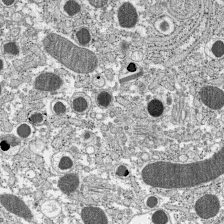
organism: C57BL Mouse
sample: Pancreatic islet